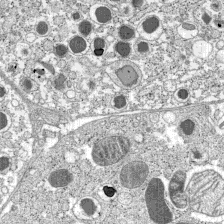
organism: C57BL Mouse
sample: Pancreatic islet